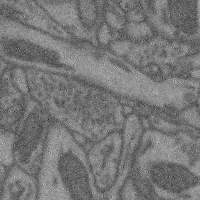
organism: Mouse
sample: Cerebral cortex